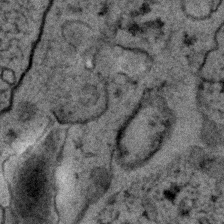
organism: C. elegans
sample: C. elegans embryo